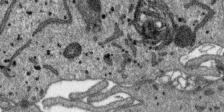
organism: Human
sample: Lung epithelial cells, uninfected (mock) control